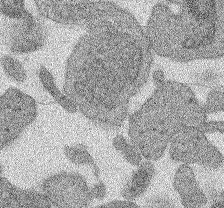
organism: Human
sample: HeLa cells